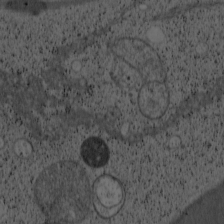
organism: African green monkey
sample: COS-7 cells